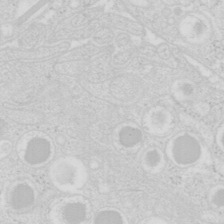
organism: Mouse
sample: Pancreas